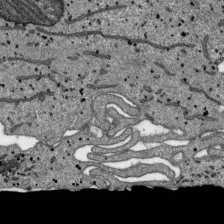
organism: Human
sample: Lung epithelial cells, uninfected (mock) control